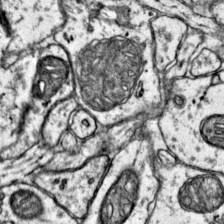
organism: Mouse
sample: Primary visual cortex